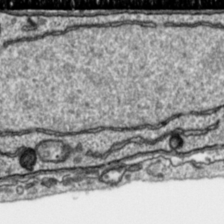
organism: Toxoplasma gondii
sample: Parasites in a vacuole inside a host cell